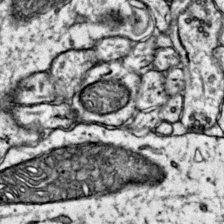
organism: Mouse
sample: Primary visual cortex